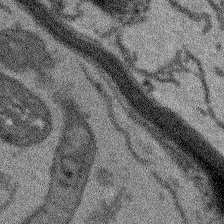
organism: Arabidopsis thaliana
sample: Root tip